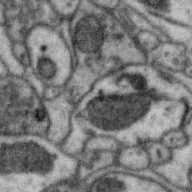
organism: Zebra finch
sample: Brain